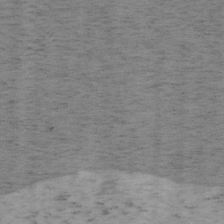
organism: Mouse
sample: OT-I killer T cells with ID8 ovarian cancer cells